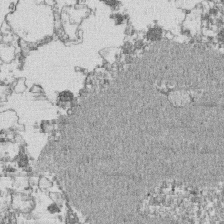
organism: Human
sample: HeLa cell HIV synapse